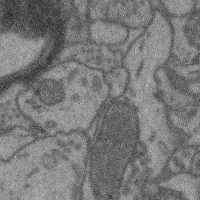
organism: Mouse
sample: Cerebral cortex